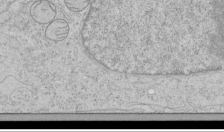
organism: Human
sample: Mitochondria in HCT116 cells